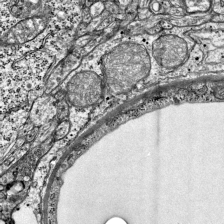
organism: Mouse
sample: Visual Cortex